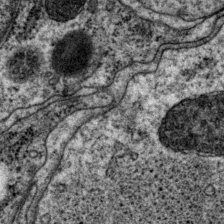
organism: P. pacificus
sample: Pharynx